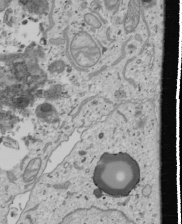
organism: Human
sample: Mitochondria in U2OS cells